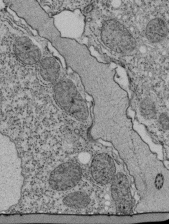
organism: Tetrahymena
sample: Cilia in tetrahymena